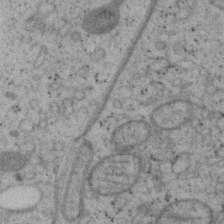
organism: Human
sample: HeLa cells